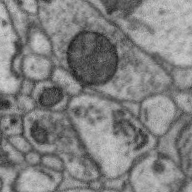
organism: Zebra finch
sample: Brain